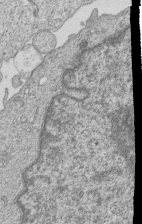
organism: Human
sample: MDA-MB-231 cells